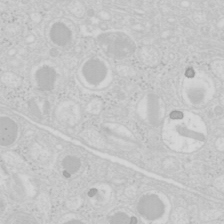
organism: Mouse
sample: Pancreas